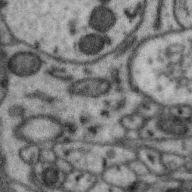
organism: Zebra finch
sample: Brain